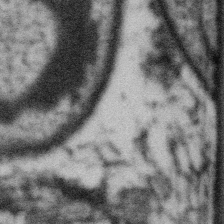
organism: Gemmata obscuriglobus